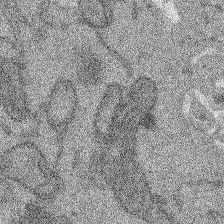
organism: Human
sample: HeLa cells